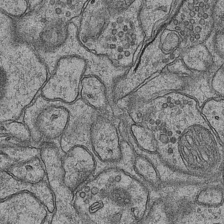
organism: Mouse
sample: CA1 Hippocampus